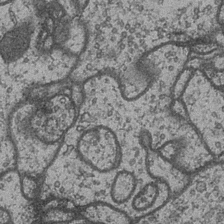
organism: Drosophila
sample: Optic medulla